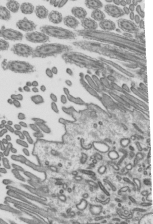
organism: Mouse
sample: Mouse epididymis efferent ductule cilia